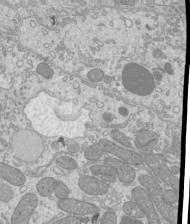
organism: Mouse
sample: Cilia; mouse epididymis